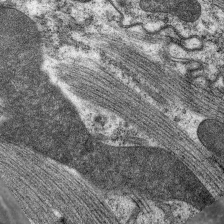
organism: C. elegans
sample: Pharynx